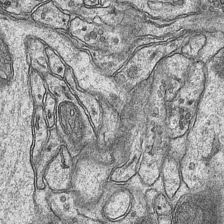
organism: Mouse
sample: CA1 Hippocampus